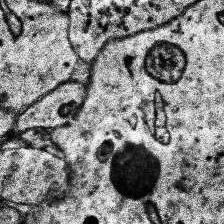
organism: Human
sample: Temporal Lobe